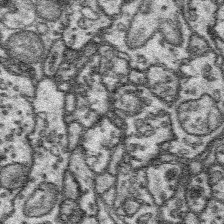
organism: Platynereis dumerilii